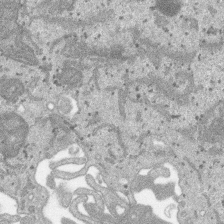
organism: Human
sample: Lung epithelial cells infected with SARS-CoV-2